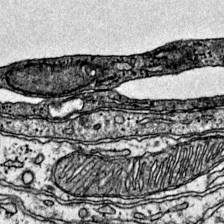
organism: Mouse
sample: Primary visual cortex